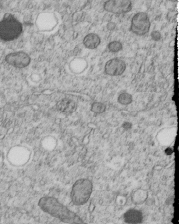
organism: C. elegans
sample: C. elegans embryo early stage